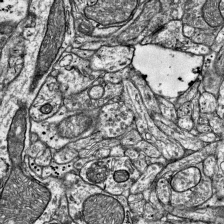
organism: Mouse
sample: Visual Cortex